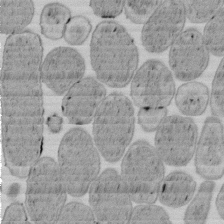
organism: E. coli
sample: Bacterial nucleoid